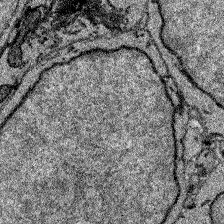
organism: Zebrafish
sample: Larval olfactory bulb